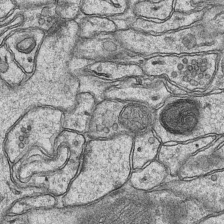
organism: Mouse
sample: CA1 Hippocampus